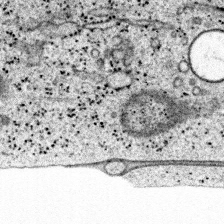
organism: Human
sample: HeLa cells